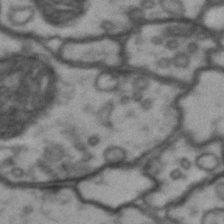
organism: Drosophila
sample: Brain